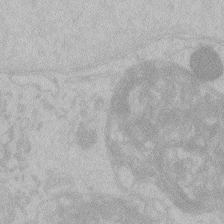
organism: Zebrafish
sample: Macrophage infected with Toxoplasma gondii